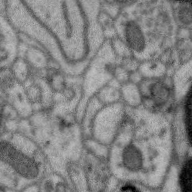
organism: Zebra finch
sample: Brain